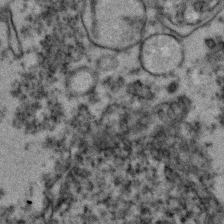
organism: Zebrafish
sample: Zebrafish embryo